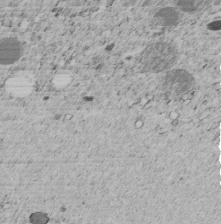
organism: C. elegans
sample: C. elegans embryo early stage